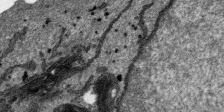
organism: Human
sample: Lung epithelial cells, uninfected (mock) control